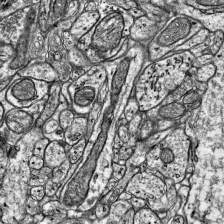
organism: Mouse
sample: Visual Cortex